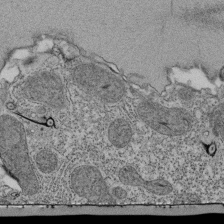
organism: Tetrahymena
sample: Cilia in tetrahymena